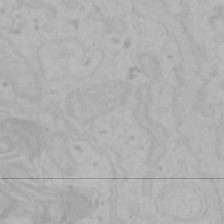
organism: Mouse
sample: Choroid plexus